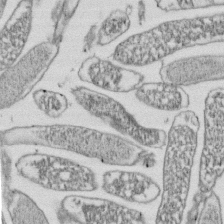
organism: E. coli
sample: Bacterial nucleoid